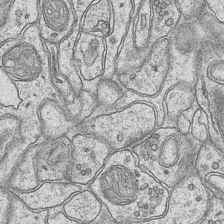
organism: Mouse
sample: CA1 Hippocampus